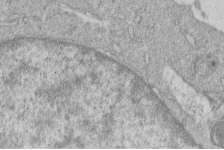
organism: Human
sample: Macrophage cells